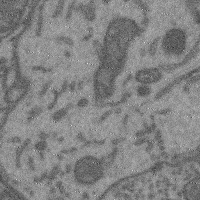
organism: Mouse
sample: Cerebral cortex